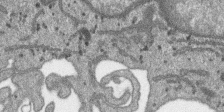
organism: Human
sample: Lung epithelial cells infected with SARS-CoV-2